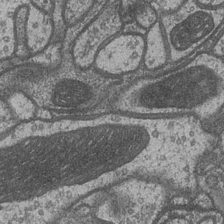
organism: Drosophila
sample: Optic medulla